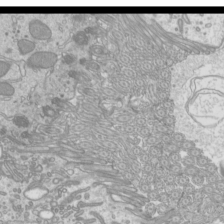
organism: Mouse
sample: Cilia; mouse epididymis